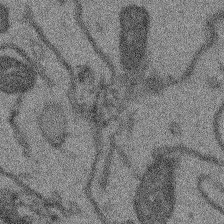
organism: Arabidopsis thaliana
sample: Root tip